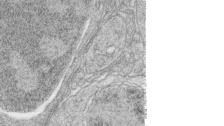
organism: Zebrafish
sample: synaptic ribbons in rod cells and cone cells